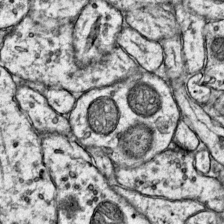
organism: Mouse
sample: Primary visual cortex